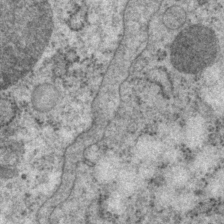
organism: P. pacificus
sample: Pharynx